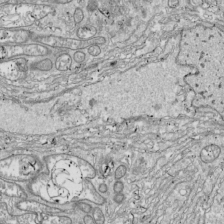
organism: Drosophila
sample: Cell division; meiosis; drosophila spermatocytes